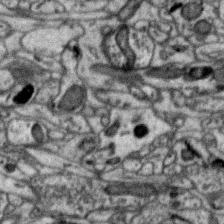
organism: Zebra finch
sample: Brain